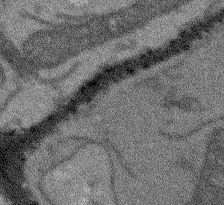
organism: Arabidopsis thaliana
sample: Root tip